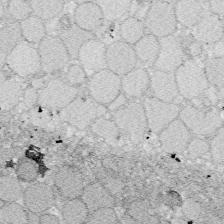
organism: Zebrafish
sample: Whole-Brain